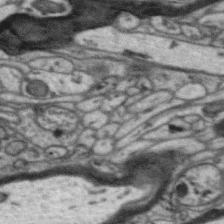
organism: Zebra finch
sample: Brain